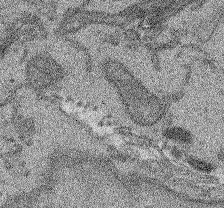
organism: Human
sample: HeLa cells